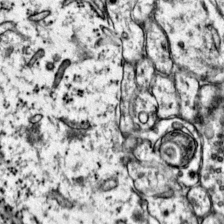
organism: Mouse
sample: Primary visual cortex